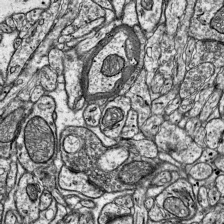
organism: Mouse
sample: Visual Cortex